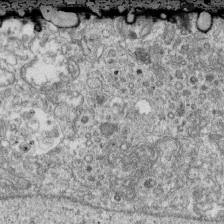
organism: Human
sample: HeLa cell HIV synapse